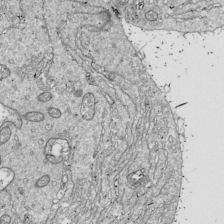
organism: Drosophila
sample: Cell division; meiosis; drosophila spermatocytes